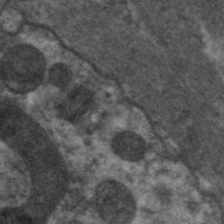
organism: C. elegans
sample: Pharynx